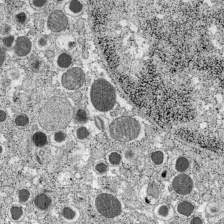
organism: C57BL Mouse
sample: Pancreatic islet